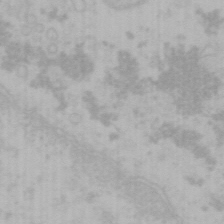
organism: Mouse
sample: Choroid plexus